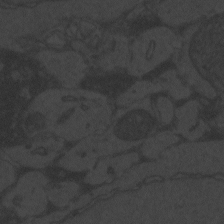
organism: Zebrafish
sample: Macrophage infected with Toxoplasma gondii